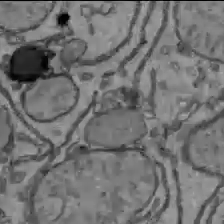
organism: C57BL Mouse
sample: Liver